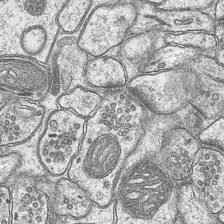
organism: Mouse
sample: CA1 Hippocampus